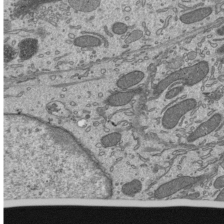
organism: Mouse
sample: Mouse epididymis efferent ductule cilia